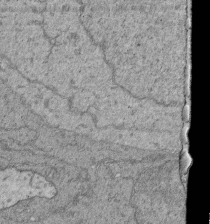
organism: Human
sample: Retinal organoid Rod and Cone cells